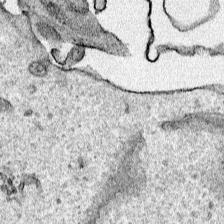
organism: Human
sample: Mitochondria in HCT116 cells